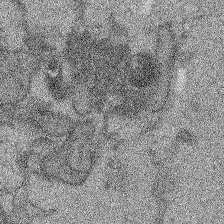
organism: Human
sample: HeLa cells